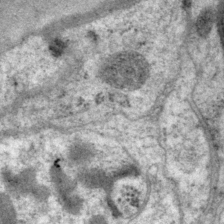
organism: P. pacificus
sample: Pharynx